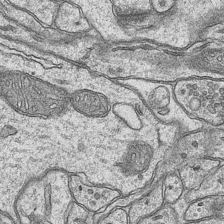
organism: Mouse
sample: CA1 Hippocampus